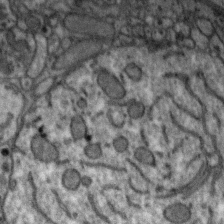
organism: Zebra finch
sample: Brain